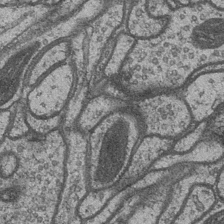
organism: Drosophila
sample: Optic medulla